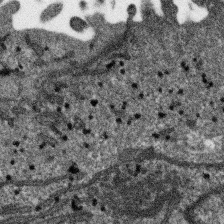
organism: Human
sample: Lung epithelial cells infected with SARS-CoV-2